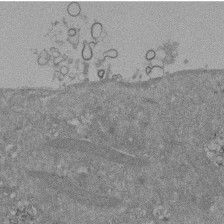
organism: Mouse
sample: ED-1 cell nuclei; centrioles